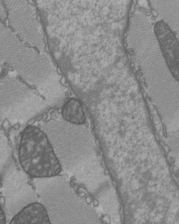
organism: C57BL Mouse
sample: Heart